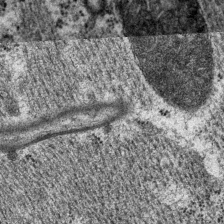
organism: P. pacificus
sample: Pharynx